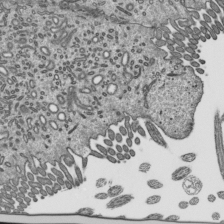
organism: Mouse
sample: Mouse epididymis efferent ductule cilia